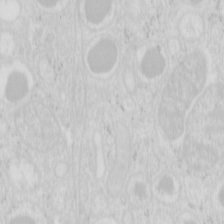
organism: Mouse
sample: Pancreas